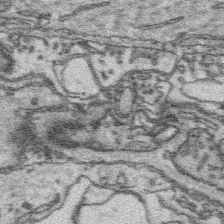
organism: Platynereis dumerilii